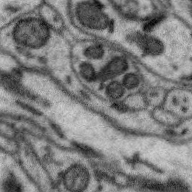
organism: Zebra finch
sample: Brain